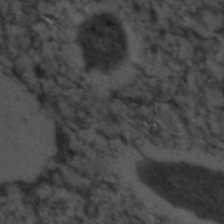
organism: C. elegans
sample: C. elegans embryo